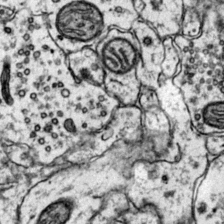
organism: Mouse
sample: Primary visual cortex